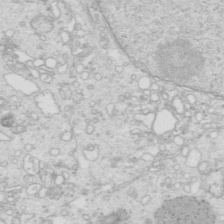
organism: Mouse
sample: Multiciliated cells